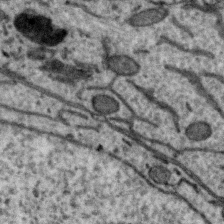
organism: Zebra finch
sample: Brain